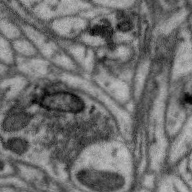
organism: Zebra finch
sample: Brain